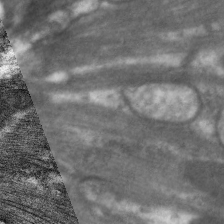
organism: C. elegans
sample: Pharynx